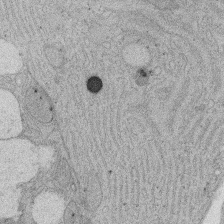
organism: Rat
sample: Salivary granule